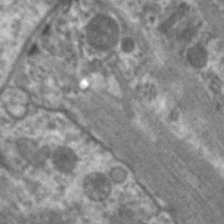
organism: C. elegans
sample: Pharynx